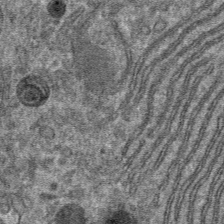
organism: Mouse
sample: Mouse hepatocytes